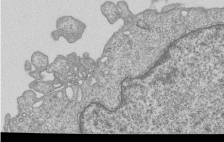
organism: Human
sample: MDA-MB-231 cells